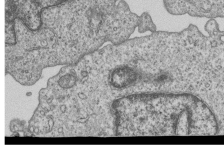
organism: Human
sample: MDA-MB-231 cells